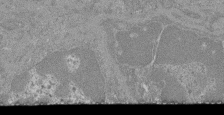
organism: Mouse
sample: Glomerulus